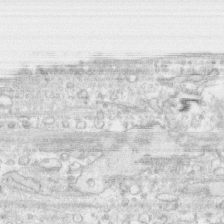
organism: Human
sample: CRL-1474